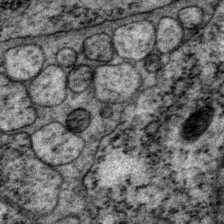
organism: P. pacificus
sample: Pharynx